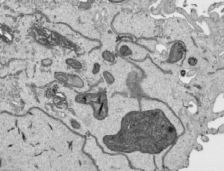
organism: Human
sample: Mitochondria in HCT116 cells